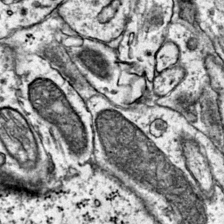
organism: Mouse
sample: Primary visual cortex